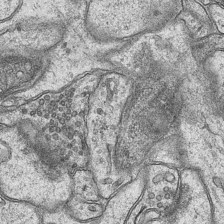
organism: Mouse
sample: CA1 Hippocampus